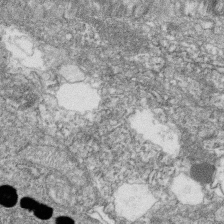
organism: Zebrafish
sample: Cilia; retinal pigment epithelium